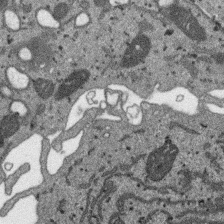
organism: Human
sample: Lung epithelial cells infected with SARS-CoV-2